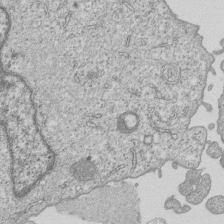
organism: Human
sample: MDA-MB-231 cells